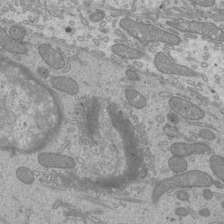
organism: Mouse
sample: Cilia; mouse epididymis